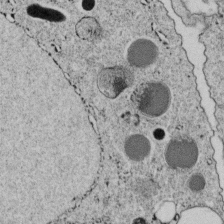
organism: C. elegans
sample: C. elegans embryo early stage